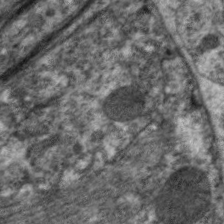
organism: C. elegans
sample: Pharynx